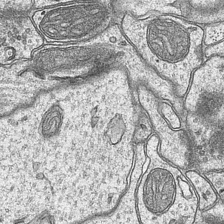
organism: Mouse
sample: CA1 Hippocampus